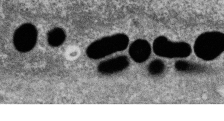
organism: Zebrafish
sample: Cilia; retinal pigment epithelium